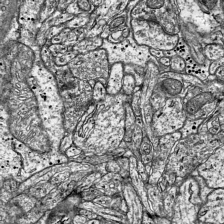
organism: Mouse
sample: Visual Cortex